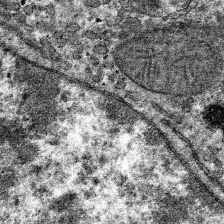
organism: Mouse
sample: Mouse hepatocytes